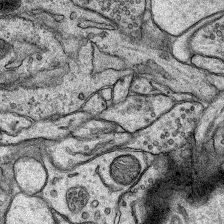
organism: Rat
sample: Hippocampus